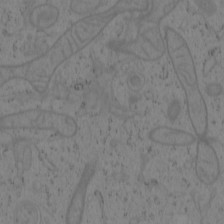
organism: Human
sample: HeLa cells